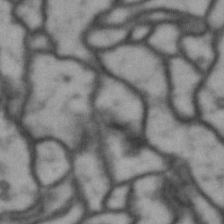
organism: Drosophila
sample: Brain